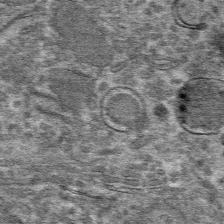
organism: Mouse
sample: Mouse hepatocytes